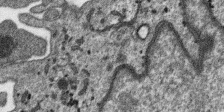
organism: Human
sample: Lung epithelial cells infected with SARS-CoV-2